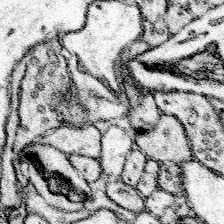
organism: Mouse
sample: Somatosensory cortex neuropil